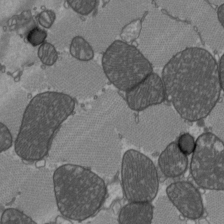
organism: C57BL Mouse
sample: Heart